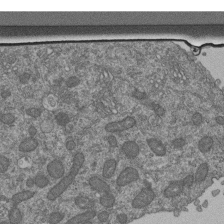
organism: Human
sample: Retinal organoid Rod and Cone cells